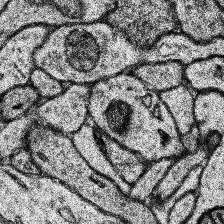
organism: Human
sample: Temporal Lobe